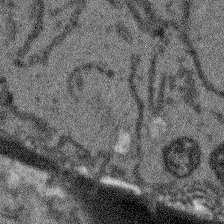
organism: Arabidopsis thaliana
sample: Root tip